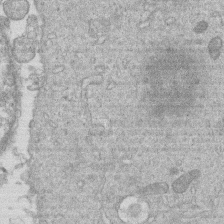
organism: Human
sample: Macrophage cells